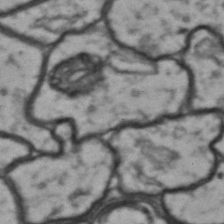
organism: Drosophila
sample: Brain